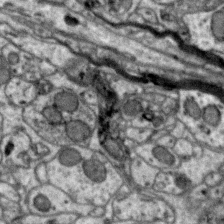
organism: Zebra finch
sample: Brain